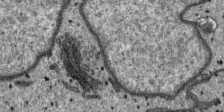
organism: Human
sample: Lung epithelial cells, uninfected (mock) control